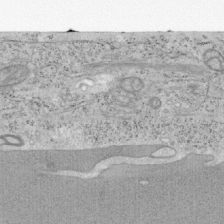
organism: Human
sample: HeLa cells